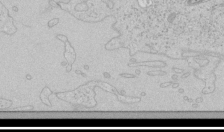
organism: Human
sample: Mitochondria in HCT116 cells